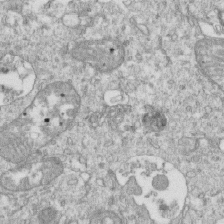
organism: Mouse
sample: Activated OT-1 CD8+ T cells